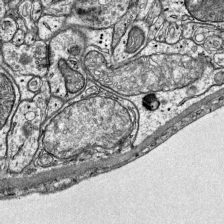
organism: Mouse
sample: Visual Cortex